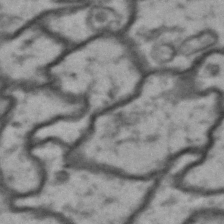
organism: Drosophila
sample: Brain